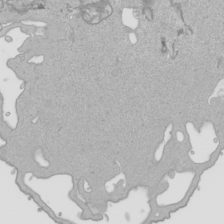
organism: Human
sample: Mitochondria in HCT116 cells